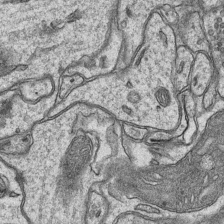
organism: Mouse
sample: CA1 Hippocampus